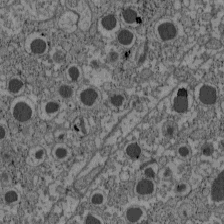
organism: C57BL Mouse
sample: Pancreatic islet